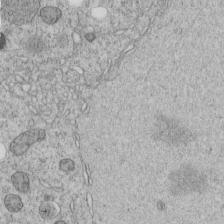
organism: C. elegans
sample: C. elegans embryo early stage